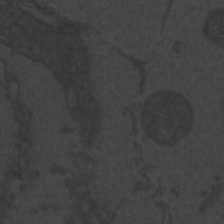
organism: Zebrafish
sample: Macrophage infected with Toxoplasma gondii